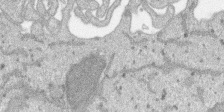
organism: Human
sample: Lung epithelial cells infected with SARS-CoV-2